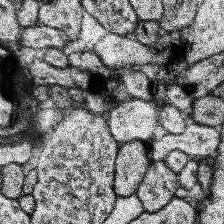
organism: Human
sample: Temporal Lobe